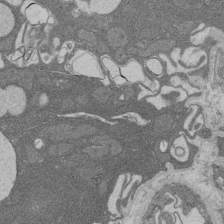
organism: Rat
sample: Salivary granule